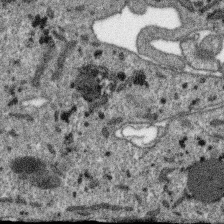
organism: Human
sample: Lung epithelial cells infected with SARS-CoV-2